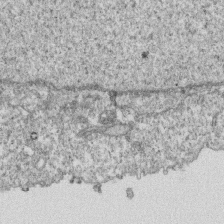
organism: Human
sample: HeLa cell HIV synapse